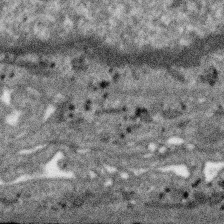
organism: Human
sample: Lung epithelial cells infected with SARS-CoV-2